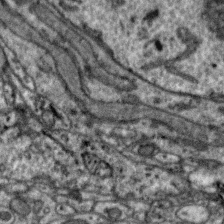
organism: Zebra finch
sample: Brain